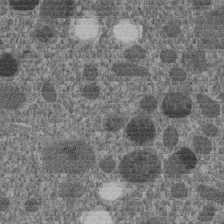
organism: C. elegans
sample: C. elegans embryo early stage